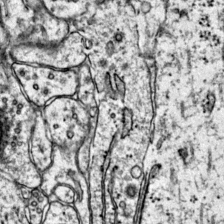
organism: Mouse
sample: Primary visual cortex